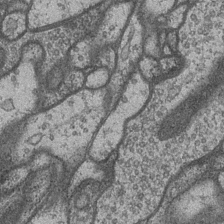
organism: Drosophila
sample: Optic medulla